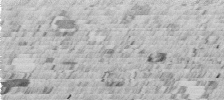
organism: C. elegans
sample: C. elegans embryo early stage